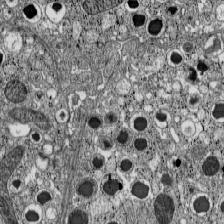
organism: C57BL Mouse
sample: Pancreatic islet